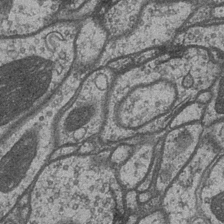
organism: Drosophila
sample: Optic medulla